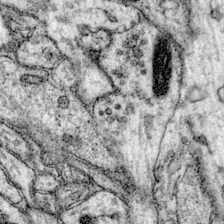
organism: Mouse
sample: Primary visual cortex